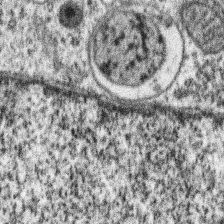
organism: Human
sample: HeLa cells